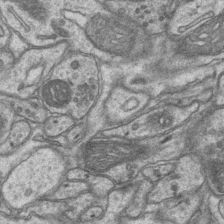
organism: Mouse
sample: CA1 Hippocampus